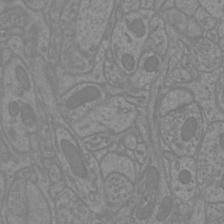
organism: Mouse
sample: Cortical neurons